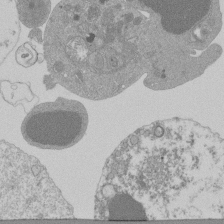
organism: Mouse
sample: Activated Pmel transgenic CD8+ T Cells